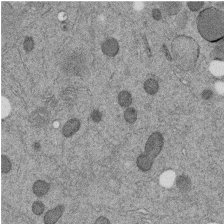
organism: C. elegans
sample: C. elegans embryo early stage